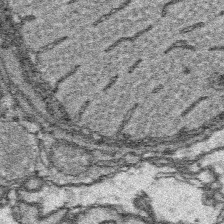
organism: Platynereis dumerilii